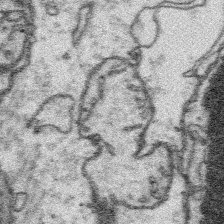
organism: Platynereis dumerilii